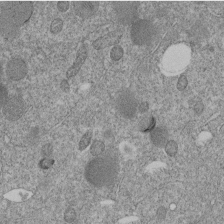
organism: C. elegans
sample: C. elegans embryo early stage